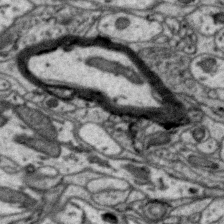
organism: Zebra finch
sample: Brain